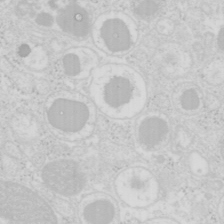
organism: Mouse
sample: Pancreas